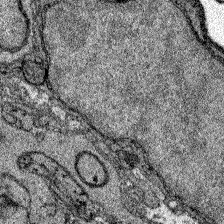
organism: Zebrafish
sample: Larval olfactory bulb